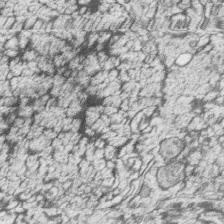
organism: Zebrafish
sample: synaptic ribbons in rod cells and cone cells